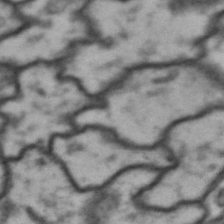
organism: Drosophila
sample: Brain